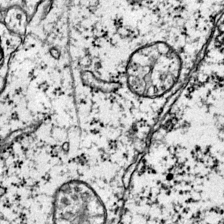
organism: Mouse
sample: Primary visual cortex